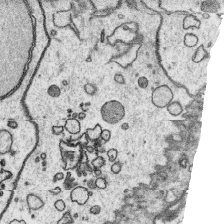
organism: Platynereis dumerilii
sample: Parapodia